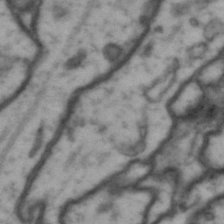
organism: Drosophila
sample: Brain